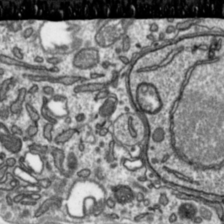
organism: Toxoplasma gondii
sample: Parasites in a vacuole inside a host cell